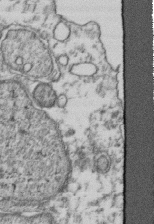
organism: Human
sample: Activated Jurkat CD4+ T cells